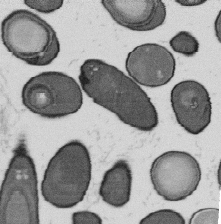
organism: B. subtilis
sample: Bacterial spore